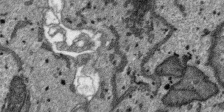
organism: Human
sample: Lung epithelial cells, uninfected (mock) control